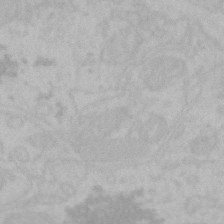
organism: Mouse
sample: Choroid plexus